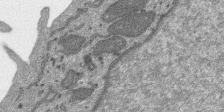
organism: Human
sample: Lung epithelial cells infected with SARS-CoV-2